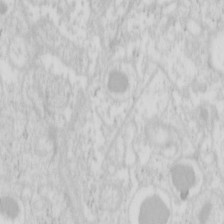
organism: Mouse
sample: Pancreas